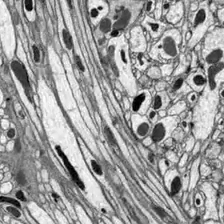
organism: Drosophila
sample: Optic lobe